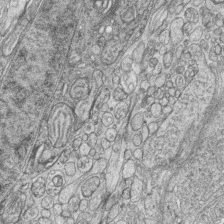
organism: Zebrafish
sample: synaptic ribbons in rod cells and cone cells